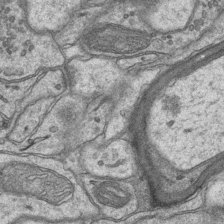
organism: Mouse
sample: CA1 Hippocampus